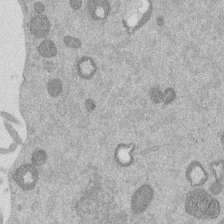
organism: Mouse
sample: Dividing mouse embryo 1 cell stage